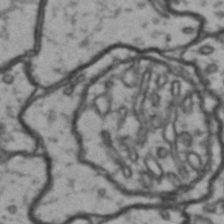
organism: Drosophila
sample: Brain